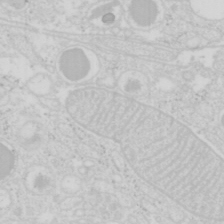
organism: Mouse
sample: Pancreas